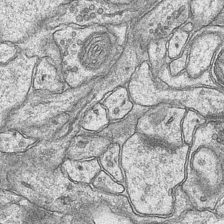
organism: Mouse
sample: CA1 Hippocampus